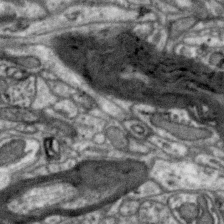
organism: Zebra finch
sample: Brain